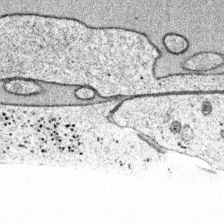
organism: Human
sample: HeLa cells